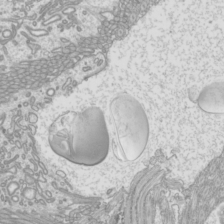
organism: Mouse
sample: Cilia; mouse epididymis